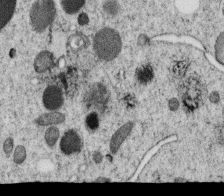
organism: C. elegans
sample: C. elegans oocyte; sperm cells